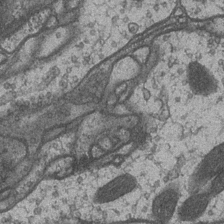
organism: Drosophila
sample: Optic medulla